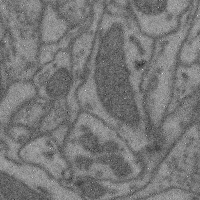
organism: Mouse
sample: Cerebral cortex